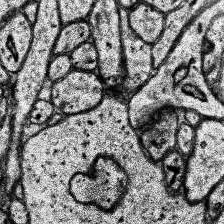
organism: Human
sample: Temporal Lobe